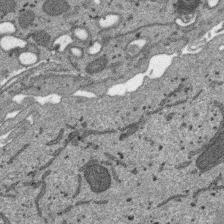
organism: Human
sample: Lung epithelial cells infected with SARS-CoV-2